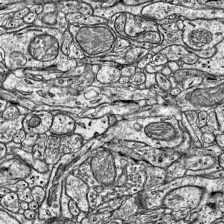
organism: Mouse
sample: Visual Cortex